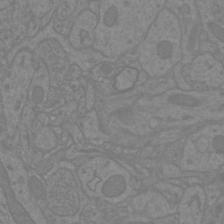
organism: Mouse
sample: Cortical neurons